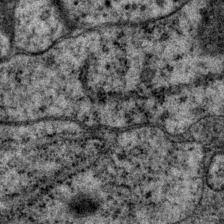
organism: P. pacificus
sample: Pharynx